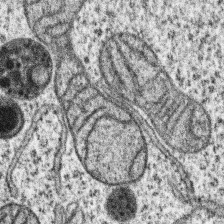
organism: Human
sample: HeLa cells